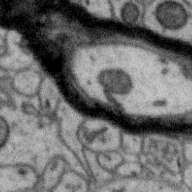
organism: Zebra finch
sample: Brain